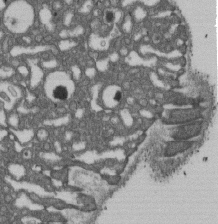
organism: Drosophila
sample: Nephrocyte